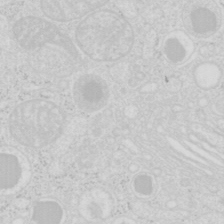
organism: Mouse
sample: Pancreas